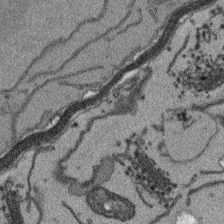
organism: Arabidopsis thaliana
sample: Root tip